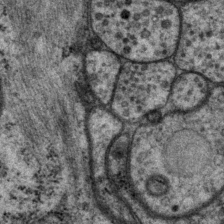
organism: P. pacificus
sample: Pharynx